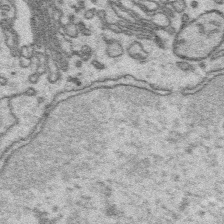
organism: Platynereis dumerilii